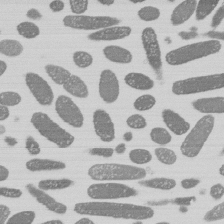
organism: E. coli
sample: Bacterial nucleoid